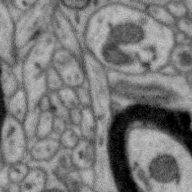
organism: Zebra finch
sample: Brain